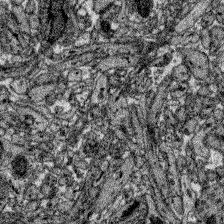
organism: Zebrafish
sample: Larval olfactory bulb